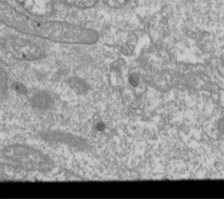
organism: Drosophila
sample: Cell division; meiosis; drosophila spermatocytes